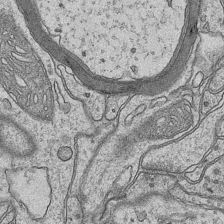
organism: Mouse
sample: CA1 Hippocampus